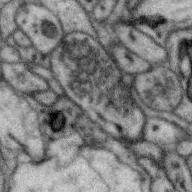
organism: Zebra finch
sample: Brain